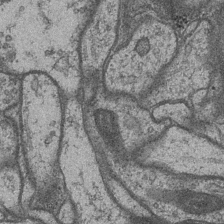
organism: Drosophila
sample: Optic medulla